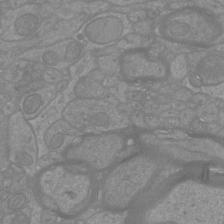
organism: Mouse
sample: Cortical neurons